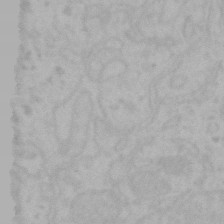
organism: Mouse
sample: Choroid plexus